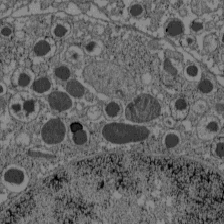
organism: C57BL Mouse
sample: Pancreatic islet